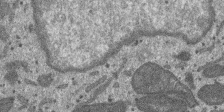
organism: Human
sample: Lung epithelial cells infected with SARS-CoV-2